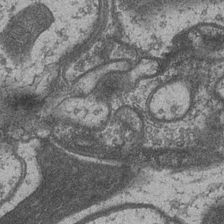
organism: Drosophila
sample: Optic medulla